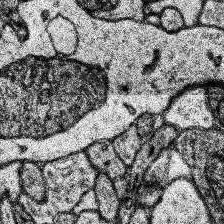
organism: Human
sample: Temporal Lobe